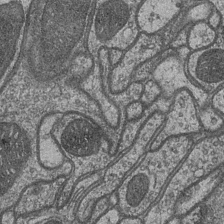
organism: Drosophila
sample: Optic medulla